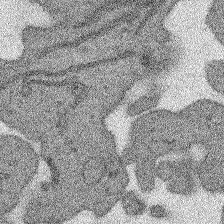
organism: Human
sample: HeLa cells